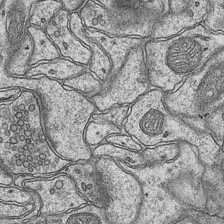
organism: Mouse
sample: CA1 Hippocampus